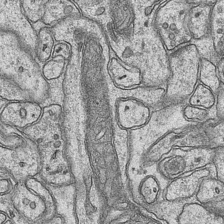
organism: Mouse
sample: CA1 Hippocampus